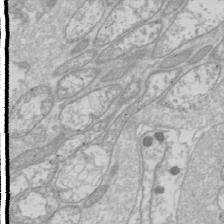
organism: Drosophila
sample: Cell division; meiosis; drosophila spermatocytes